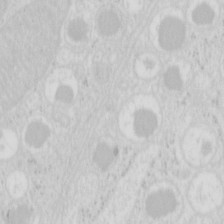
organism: Mouse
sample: Pancreas